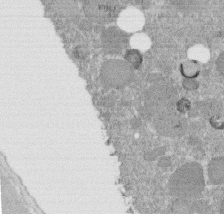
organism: C. elegans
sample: C. elegans embryo early stage